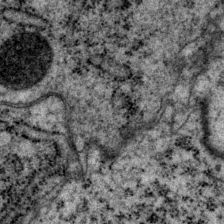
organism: P. pacificus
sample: Pharynx